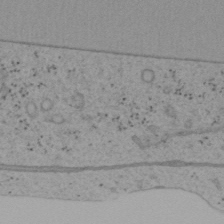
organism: Human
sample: HeLa cells